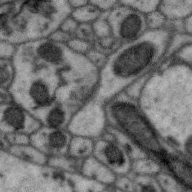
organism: Zebra finch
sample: Brain